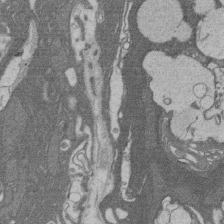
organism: Rat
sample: Salivary granule